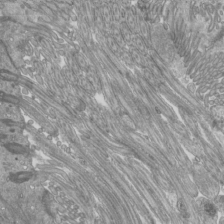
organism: Mouse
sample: Cilia; mouse epididymis